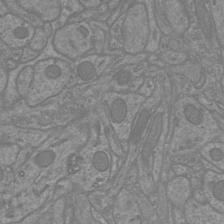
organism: Mouse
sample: Cortical neurons